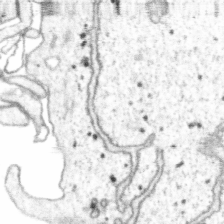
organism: Human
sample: HeLa cells